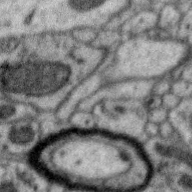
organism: Zebra finch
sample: Brain